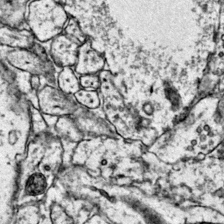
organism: Mouse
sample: Primary visual cortex